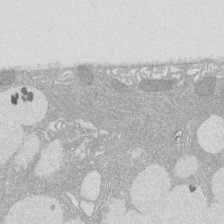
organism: Rat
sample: Salivary granule